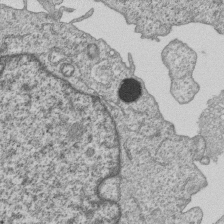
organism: Human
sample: MDA-MB-231 cells